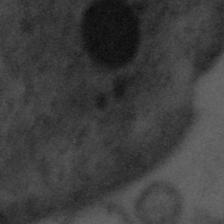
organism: Tuwongella immobilis